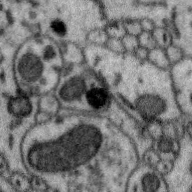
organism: Zebra finch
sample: Brain